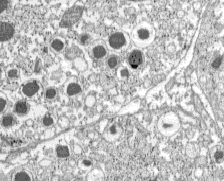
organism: C57BL Mouse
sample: Pancreatic islet